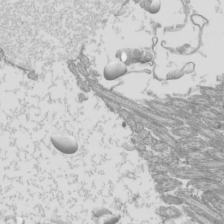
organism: Mouse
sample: Cilia; mouse epididymis